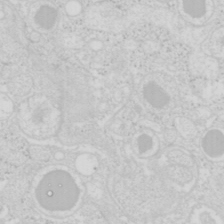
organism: Mouse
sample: Pancreas